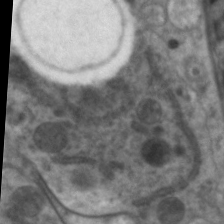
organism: C. elegans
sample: Pharynx